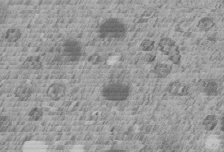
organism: C. elegans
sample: C. elegans embryo early stage